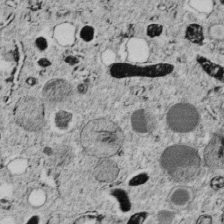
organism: C. elegans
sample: C. elegans embryo early stage